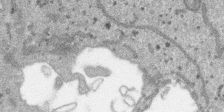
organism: Human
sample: Lung epithelial cells infected with SARS-CoV-2